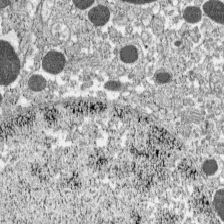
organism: C57BL Mouse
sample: Pancreatic islet